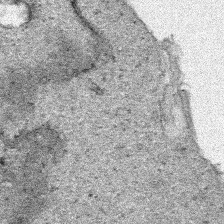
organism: Human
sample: Mitochondria in HCT116 cells